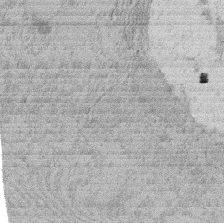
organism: Rat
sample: Salivary granule